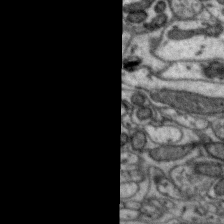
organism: Zebra finch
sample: Brain